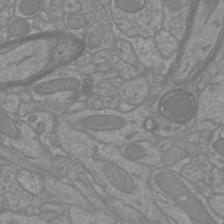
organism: Mouse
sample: Cortical neurons